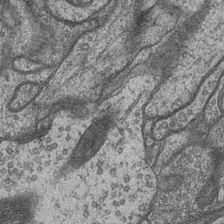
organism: Drosophila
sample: Optic medulla